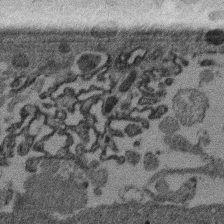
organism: Mouse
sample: Dividing mouse embryo 1 cell stage